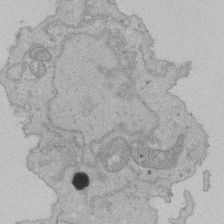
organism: Human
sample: Activated Jurkat CD4+ T cells